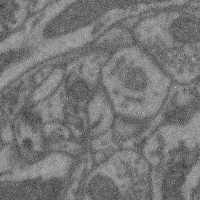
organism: Mouse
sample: Cerebral cortex